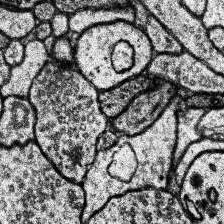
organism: Human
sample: Temporal Lobe